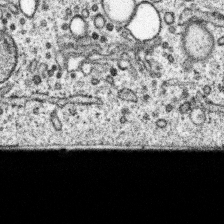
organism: Human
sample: HeLa cells